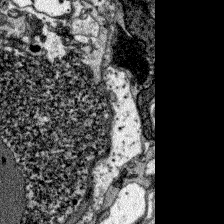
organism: Zebrafish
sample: Larval olfactory bulb